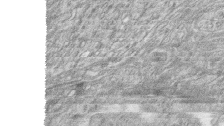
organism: Zebrafish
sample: synaptic ribbons in rod cells and cone cells